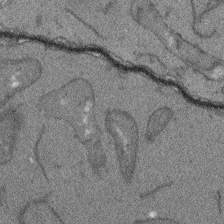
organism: Arabidopsis thaliana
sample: Root tip